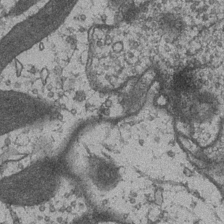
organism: Drosophila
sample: Optic medulla